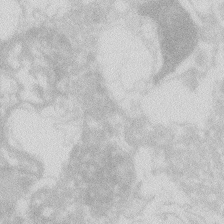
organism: Zebrafish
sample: Macrophage